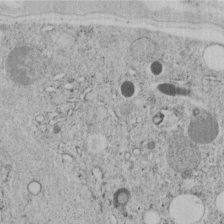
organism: C. elegans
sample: C. elegans embryo early stage